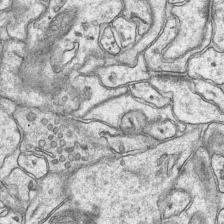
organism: Mouse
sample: CA1 Hippocampus